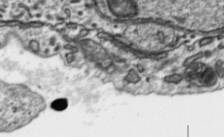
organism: Toxoplasma gondii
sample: Parasites in a vacuole inside a host cell